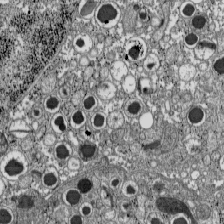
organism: C57BL Mouse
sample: Pancreatic islet